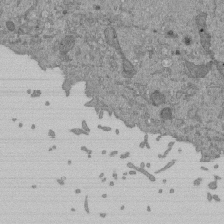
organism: Mouse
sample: ED-1 cell nuclei; centrioles